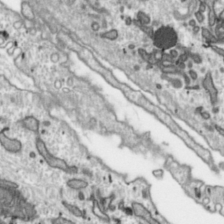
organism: Toxoplasma gondii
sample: Parasites in a vacuole inside a host cell